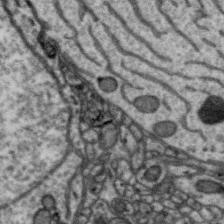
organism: Zebra finch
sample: Brain